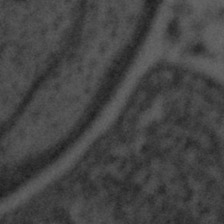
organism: Tuwongella immobilis